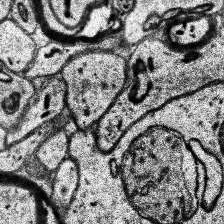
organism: Human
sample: Temporal Lobe